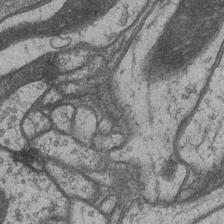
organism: Drosophila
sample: Optic medulla